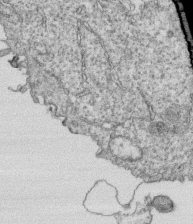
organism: Human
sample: HeLa cell HIV synapse